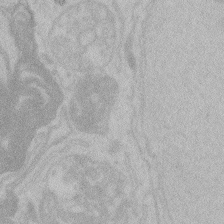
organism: Zebrafish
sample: Macrophage infected with Toxoplasma gondii